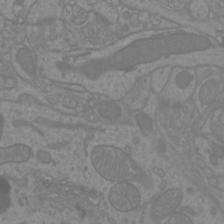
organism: Mouse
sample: Cortical neurons